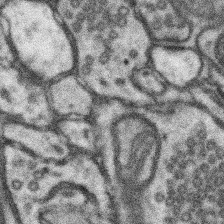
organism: Mouse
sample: Somatosensory cortex neuropil